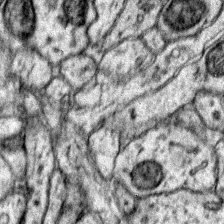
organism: Mouse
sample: Primary visual cortex